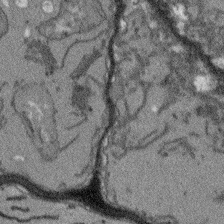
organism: Arabidopsis thaliana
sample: Root tip